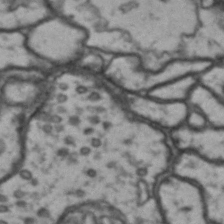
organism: Drosophila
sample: Brain